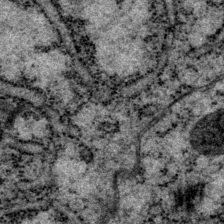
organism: P. pacificus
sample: Pharynx